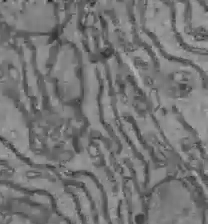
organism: C57BL Mouse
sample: Liver